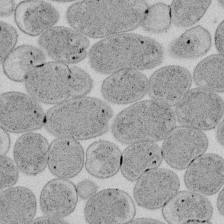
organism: E. coli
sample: Bacterial nucleoid